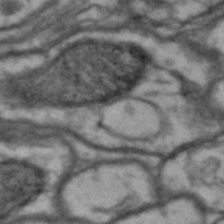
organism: Drosophila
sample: Brain